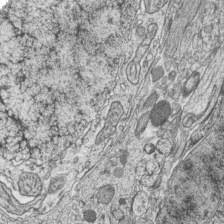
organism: Zebrafish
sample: synaptic ribbons in rod cells and cone cells